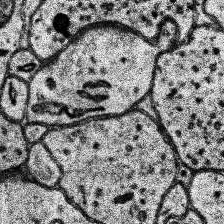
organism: Human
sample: Temporal Lobe